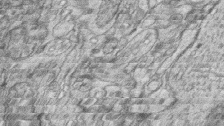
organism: Zebrafish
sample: synaptic ribbons in rod cells and cone cells